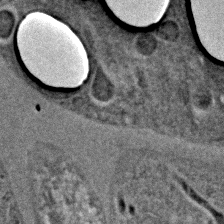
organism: C. elegans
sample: C. elegans embryo